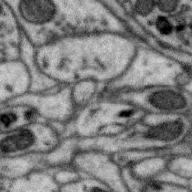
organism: Zebra finch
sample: Brain